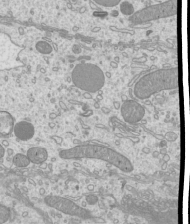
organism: Mouse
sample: Cilia; mouse epididymis